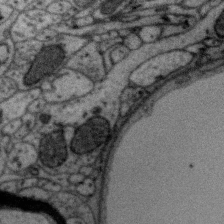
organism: Zebra finch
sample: Brain